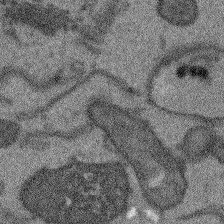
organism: Arabidopsis thaliana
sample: Root tip